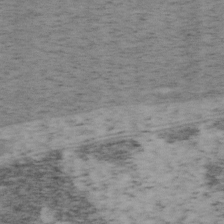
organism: Mouse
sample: OT-I killer T cells with ID8 ovarian cancer cells